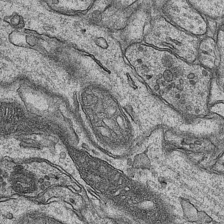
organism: Mouse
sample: CA1 Hippocampus